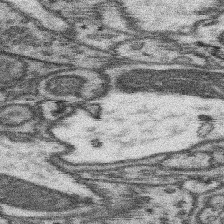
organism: Mouse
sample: Somatosensory cortex neuropil